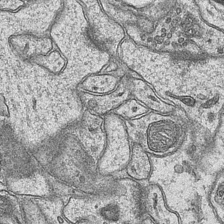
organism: Mouse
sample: CA1 Hippocampus